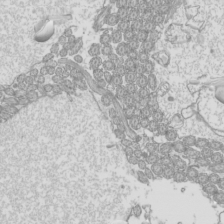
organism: Mouse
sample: Cilia; mouse epididymis